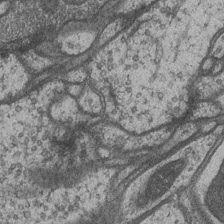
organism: Drosophila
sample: Optic medulla